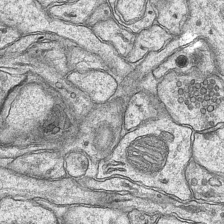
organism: Mouse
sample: CA1 Hippocampus